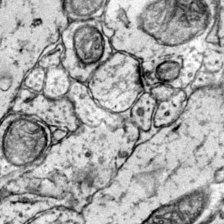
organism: Mouse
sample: Primary visual cortex